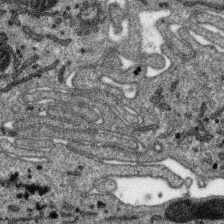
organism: Human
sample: Lung epithelial cells infected with SARS-CoV-2